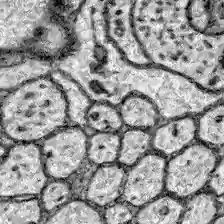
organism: Zebrafish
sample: Brain